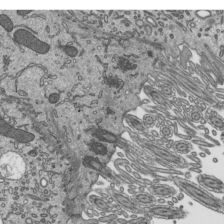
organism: Mouse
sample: Mouse epididymis efferent ductule cilia